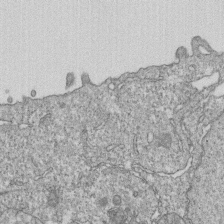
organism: Human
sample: HeLa cell HIV synapse